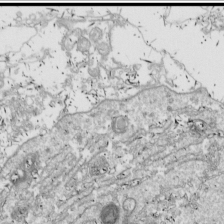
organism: Drosophila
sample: Cell division; meiosis; drosophila spermatocytes